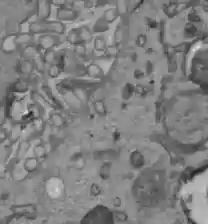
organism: C57BL Mouse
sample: Liver